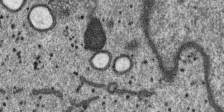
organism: Human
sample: Lung epithelial cells infected with SARS-CoV-2